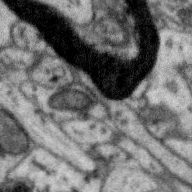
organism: Zebra finch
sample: Brain